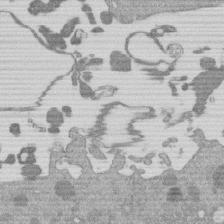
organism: Mouse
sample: Dividing mouse embryo 1 cell stage